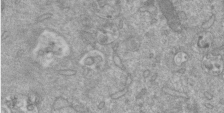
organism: Mouse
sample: ED-1 cell nuclei; centrioles